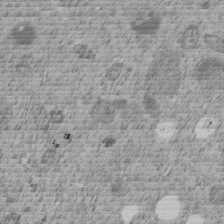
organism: C. elegans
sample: C. elegans embryo early stage